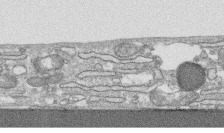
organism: Human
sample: CRL-1474